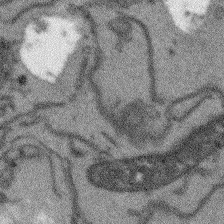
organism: Arabidopsis thaliana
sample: Root tip